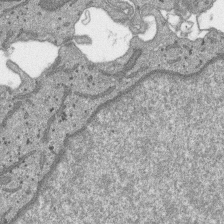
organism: Human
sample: Lung epithelial cells infected with SARS-CoV-2